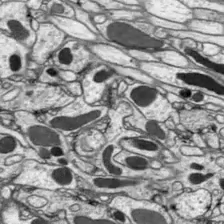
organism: Drosophila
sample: Optic lobe